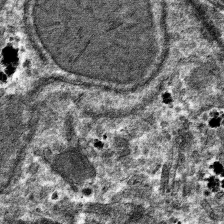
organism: Mouse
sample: Mouse hepatocytes